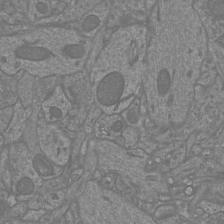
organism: Mouse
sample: Cortical neurons